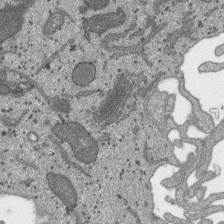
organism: Human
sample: Lung epithelial cells infected with SARS-CoV-2